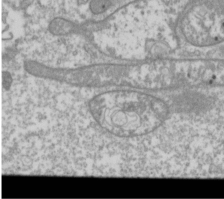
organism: Drosophila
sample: Cell division; meiosis; drosophila spermatocytes